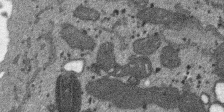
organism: Human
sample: Lung epithelial cells infected with SARS-CoV-2